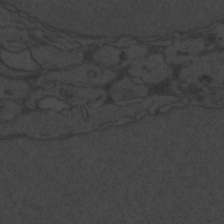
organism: Zebrafish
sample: Macrophage infected with Toxoplasma gondii